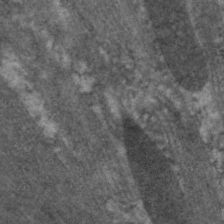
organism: C. elegans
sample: Pharynx